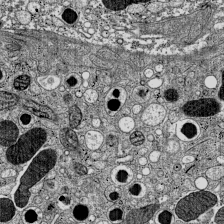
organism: C57BL Mouse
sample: Pancreatic islet